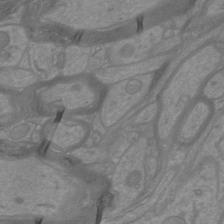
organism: Mouse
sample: Cortical neurons